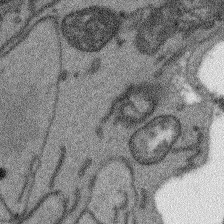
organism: Arabidopsis thaliana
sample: Root tip